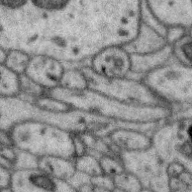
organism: Zebra finch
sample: Brain